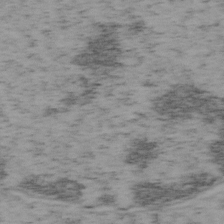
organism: Mouse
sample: OT-I killer T cells with ID8 ovarian cancer cells